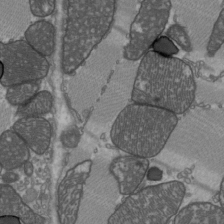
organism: C57BL Mouse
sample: Heart